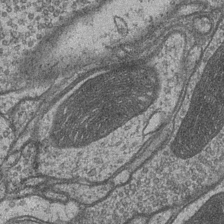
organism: Drosophila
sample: Optic medulla